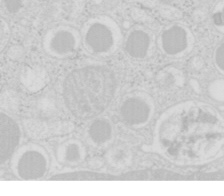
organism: Mouse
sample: Pancreas